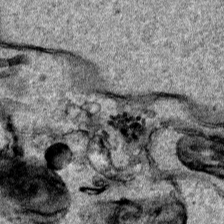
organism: Human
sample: Mitochondria in HCT116 cells